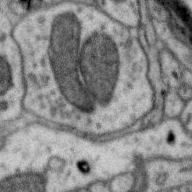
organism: Zebra finch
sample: Brain